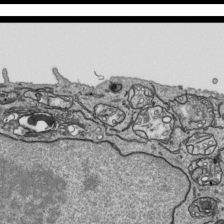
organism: Human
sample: Mitochondria in HCT116 cells